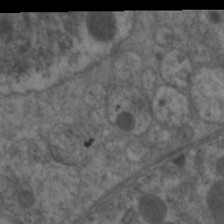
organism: C. elegans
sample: Pharynx